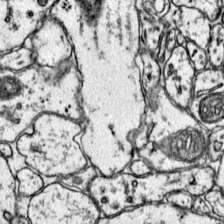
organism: Mouse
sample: Primary visual cortex